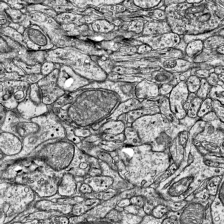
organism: Mouse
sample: Visual Cortex